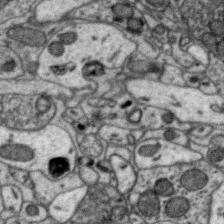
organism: Zebra finch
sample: Brain